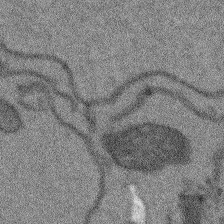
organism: Arabidopsis thaliana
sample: Root tip